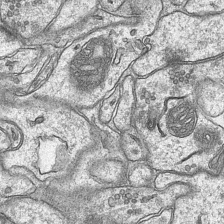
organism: Mouse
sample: CA1 Hippocampus